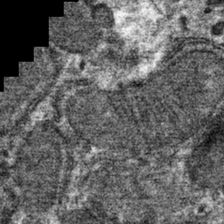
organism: Mouse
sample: Mouse hepatocytes